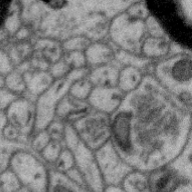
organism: Zebra finch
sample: Brain